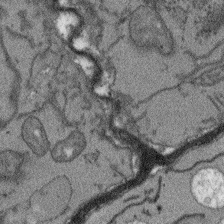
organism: Arabidopsis thaliana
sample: Root tip